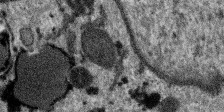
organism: Human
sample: Lung epithelial cells infected with SARS-CoV-2